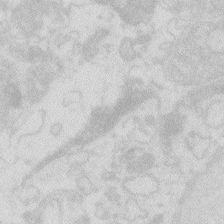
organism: Zebrafish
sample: Macrophage